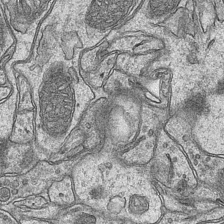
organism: Mouse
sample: CA1 Hippocampus